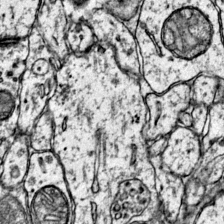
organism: Mouse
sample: Primary visual cortex